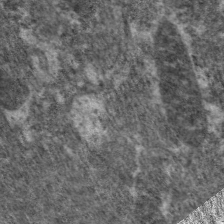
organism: C. elegans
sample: Pharynx